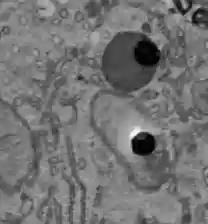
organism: C57BL Mouse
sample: Liver